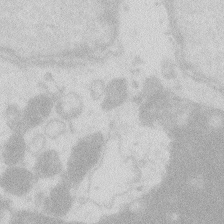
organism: Zebrafish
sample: Macrophage